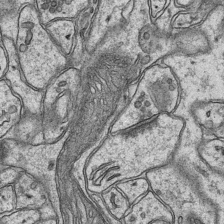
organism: Mouse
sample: CA1 Hippocampus